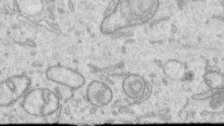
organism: Human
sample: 1205lu cells